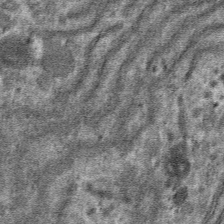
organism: Mouse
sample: Mouse hepatocytes